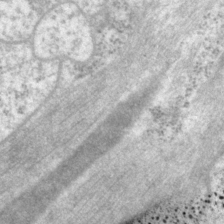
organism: P. pacificus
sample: Pharynx